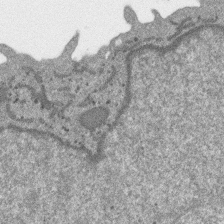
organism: Human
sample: Lung epithelial cells infected with SARS-CoV-2